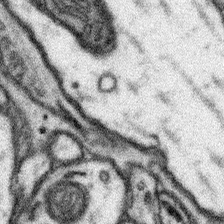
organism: Mouse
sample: Somatosensory cortex neuropil